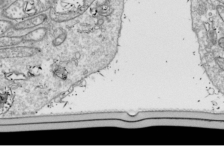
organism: Drosophila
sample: Cell division; meiosis; drosophila spermatocytes